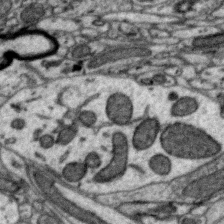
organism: Zebra finch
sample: Brain